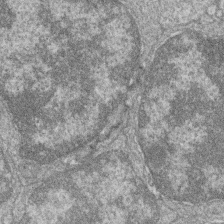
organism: Zebrafish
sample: Cilia; retinal pigment epithelium